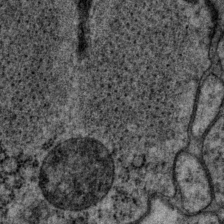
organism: P. pacificus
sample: Pharynx